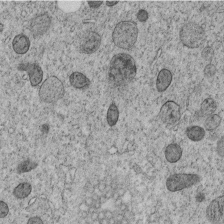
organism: C. elegans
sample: C. elegans embryo early stage